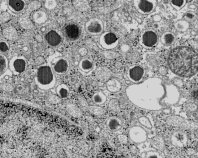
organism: C57BL Mouse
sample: Pancreatic islet